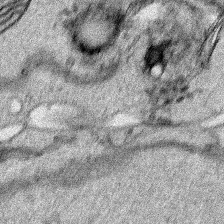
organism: Human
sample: Mitochondria in HCT116 cells